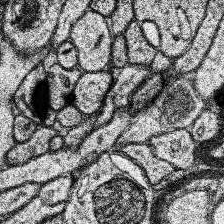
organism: Human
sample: Temporal Lobe